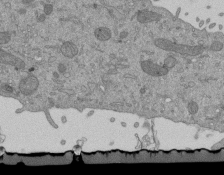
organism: Mouse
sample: ED-1 cell nuclei; centrioles